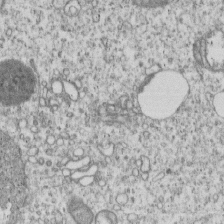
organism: Human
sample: MDA-MB-231 cells